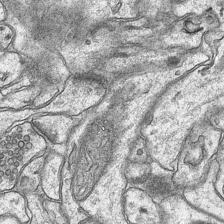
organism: Mouse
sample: CA1 Hippocampus